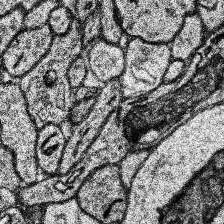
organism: Human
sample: Temporal Lobe